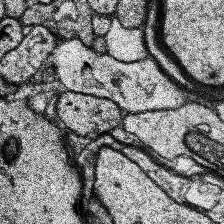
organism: Human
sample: Temporal Lobe